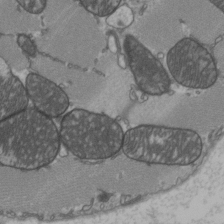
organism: C57BL Mouse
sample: Heart